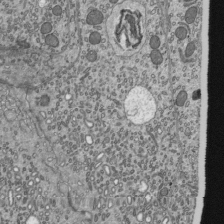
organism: Mouse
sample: Mouse epididymis efferent ductule cilia